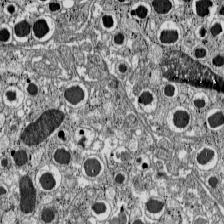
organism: C57BL Mouse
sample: Pancreatic islet